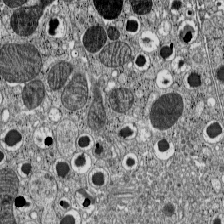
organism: C57BL Mouse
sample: Pancreatic islet